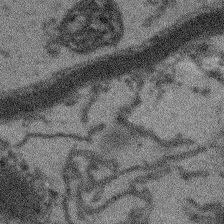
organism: Arabidopsis thaliana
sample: Root tip